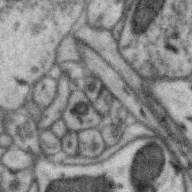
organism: Zebra finch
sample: Brain